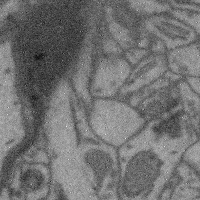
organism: Mouse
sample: Cerebral cortex